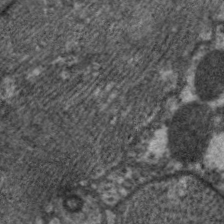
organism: C. elegans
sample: Pharynx